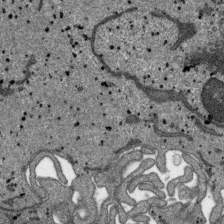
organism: Human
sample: Lung epithelial cells, uninfected (mock) control